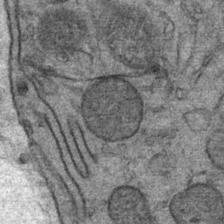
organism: Mouse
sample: Mouse Salivary gland